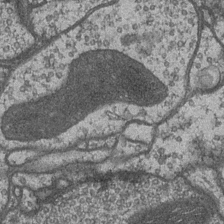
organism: Drosophila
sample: Optic medulla